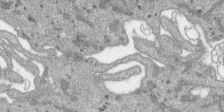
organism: Human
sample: Lung epithelial cells infected with SARS-CoV-2